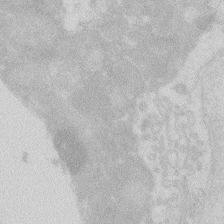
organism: Zebrafish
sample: Macrophage